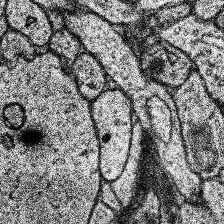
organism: Human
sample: Temporal Lobe